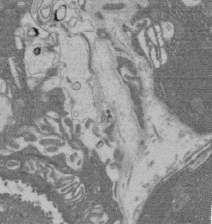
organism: Rat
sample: Salivary granule